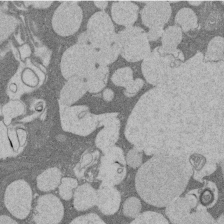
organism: Rat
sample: Salivary granule